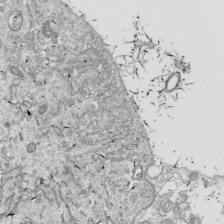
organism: Drosophila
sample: Cell division; meiosis; drosophila spermatocytes